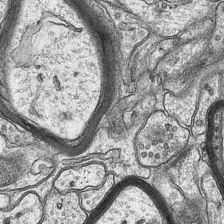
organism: Mouse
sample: CA1 Hippocampus